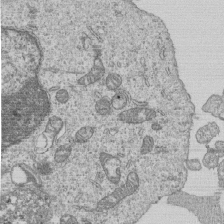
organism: Human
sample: MDA-MB-231 cells